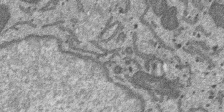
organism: Human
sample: Lung epithelial cells infected with SARS-CoV-2